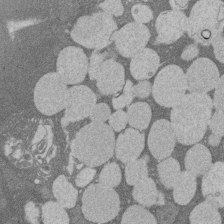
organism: Rat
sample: Salivary granule